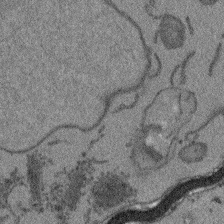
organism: Arabidopsis thaliana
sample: Root tip